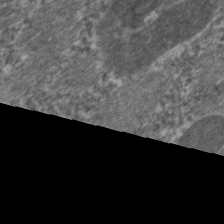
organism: C. elegans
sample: Pharynx